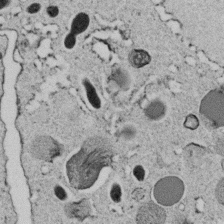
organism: C. elegans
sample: C. elegans embryo early stage